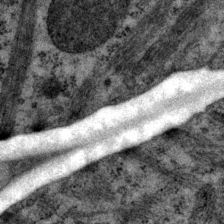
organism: P. pacificus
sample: Pharynx